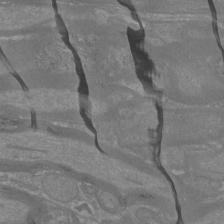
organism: Mouse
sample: Cortical neurons